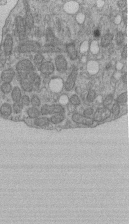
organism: Human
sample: Retinal organoid Rod and Cone cells